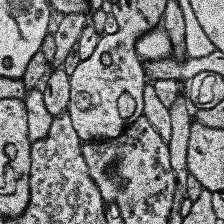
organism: Human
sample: Temporal Lobe